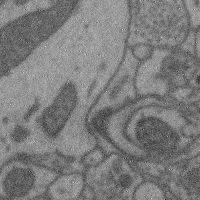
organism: Mouse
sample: Cerebral cortex